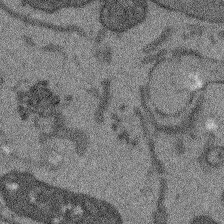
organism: Arabidopsis thaliana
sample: Root tip